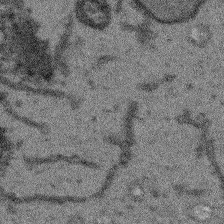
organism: Arabidopsis thaliana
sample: Root tip